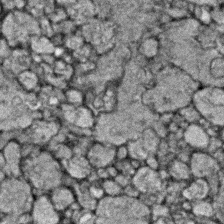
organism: Zebrafish